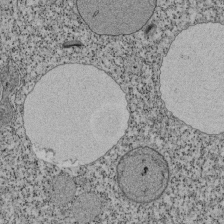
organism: Tetrahymena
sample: Cilia in tetrahymena